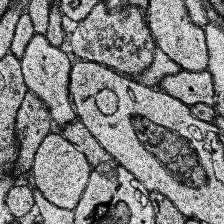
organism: Human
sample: Temporal Lobe